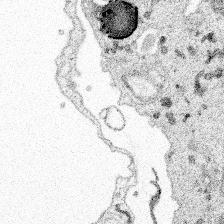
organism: Spongilla lacustris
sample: Multiple